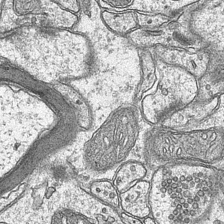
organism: Mouse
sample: CA1 Hippocampus